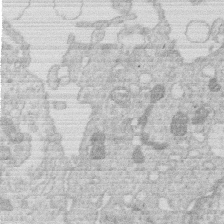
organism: Human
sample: Macrophage cells